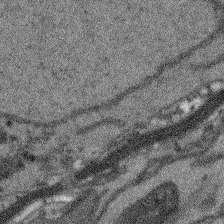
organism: Arabidopsis thaliana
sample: Root tip